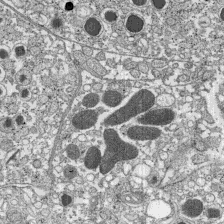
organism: C57BL Mouse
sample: Pancreatic islet